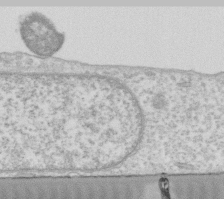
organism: Human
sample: Fibroblast cells